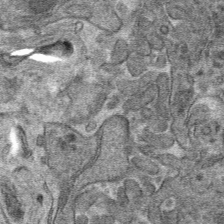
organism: Mouse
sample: Mouse hepatocytes